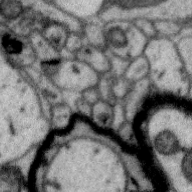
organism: Zebra finch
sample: Brain